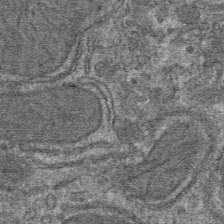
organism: Mouse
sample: Mouse hepatocytes